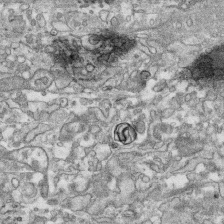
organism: Human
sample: CRL-1474